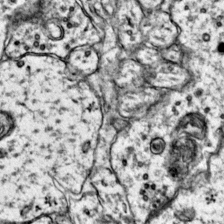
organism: Mouse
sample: Primary visual cortex